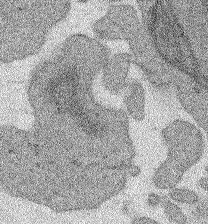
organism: Human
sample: HeLa cells